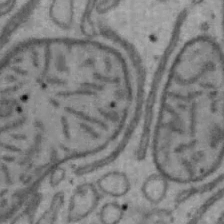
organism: Mouse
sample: Liver